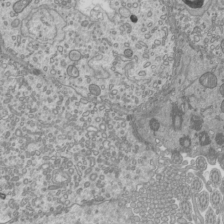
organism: Mouse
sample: Cilia; mouse epididymis